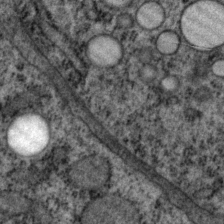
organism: P. pacificus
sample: Pharynx